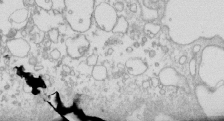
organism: Mouse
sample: Macrophages